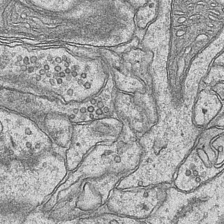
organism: Mouse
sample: CA1 Hippocampus